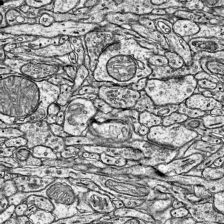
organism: Mouse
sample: Visual Cortex